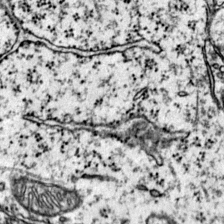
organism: Mouse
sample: Primary visual cortex